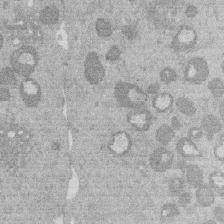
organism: Mouse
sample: Dividing mouse embryo 1 cell stage